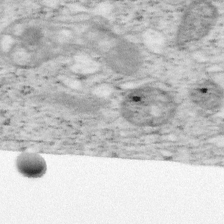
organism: Mouse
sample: OT-I killer T cells with ID8 ovarian cancer cells